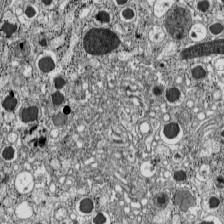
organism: C57BL Mouse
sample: Pancreatic islet